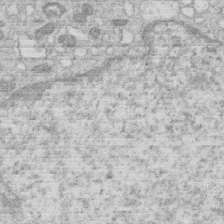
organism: Human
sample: Macrophage cells